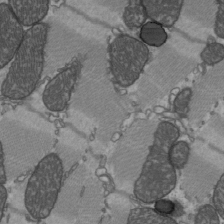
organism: C57BL Mouse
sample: Heart